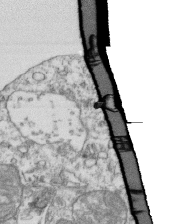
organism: Mouse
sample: Activated OT-1 CD8+ T cells